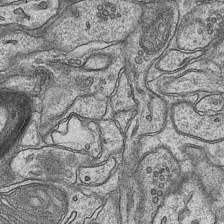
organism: Mouse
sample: CA1 Hippocampus